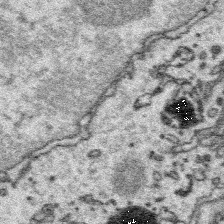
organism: Platynereis dumerilii